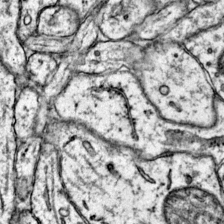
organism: Mouse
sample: Primary visual cortex